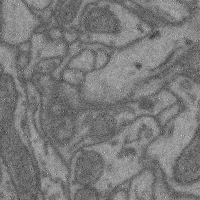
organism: Mouse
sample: Cerebral cortex